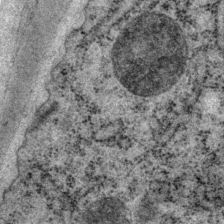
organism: P. pacificus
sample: Pharynx